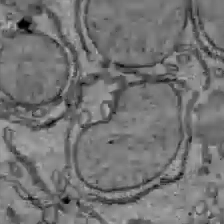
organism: C57BL Mouse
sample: Liver